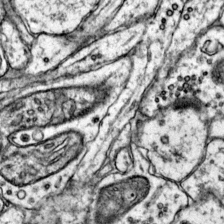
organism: Mouse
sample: Primary visual cortex